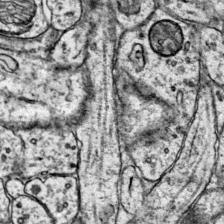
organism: Mouse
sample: Primary visual cortex